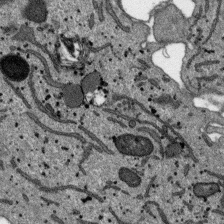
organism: Human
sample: Lung epithelial cells, uninfected (mock) control